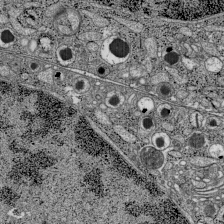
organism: C57BL Mouse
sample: Pancreatic islet